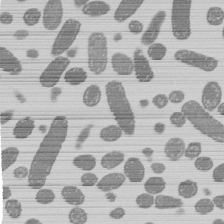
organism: E. coli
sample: Bacterial nucleoid